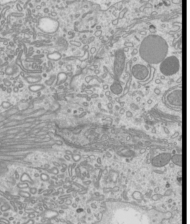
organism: Mouse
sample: Cilia; mouse epididymis